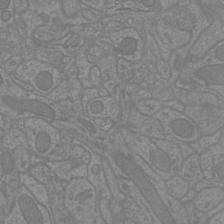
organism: Mouse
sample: Cortical neurons